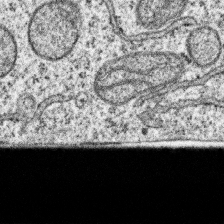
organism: Human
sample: HeLa cells